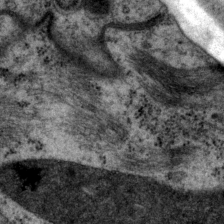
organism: P. pacificus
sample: Pharynx